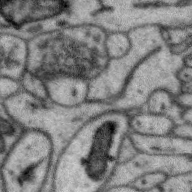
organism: Zebra finch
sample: Brain